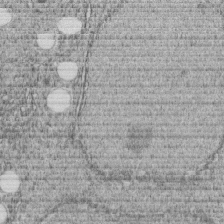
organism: C. elegans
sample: C. elegans embryo early stage